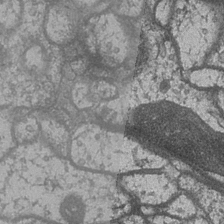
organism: Drosophila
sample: Optic medulla